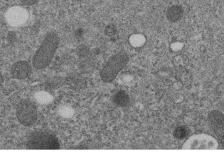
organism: C. elegans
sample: C. elegans embryo early stage